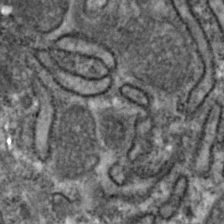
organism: Zebrafish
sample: Zebrafish embryo